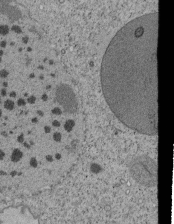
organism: Tetrahymena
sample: Cilia in tetrahymena